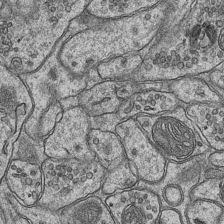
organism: Mouse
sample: CA1 Hippocampus